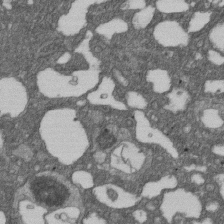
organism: Drosophila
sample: Nephrocyte